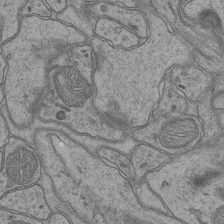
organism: Mouse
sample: CA1 Hippocampus